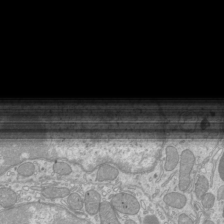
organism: Mouse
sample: Cilia; mouse epididymis